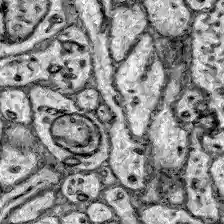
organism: Zebrafish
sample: Brain